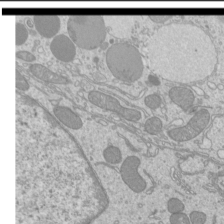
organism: Mouse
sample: Cilia; mouse epididymis